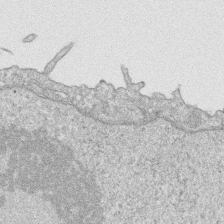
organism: Human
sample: HeLa cell HIV synapse